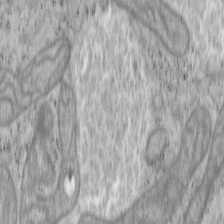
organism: Human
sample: HeLa cells